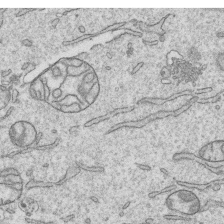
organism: Human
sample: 1205lu cells